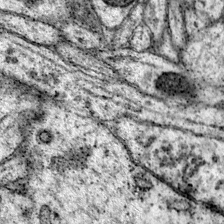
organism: Mouse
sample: Primary visual cortex